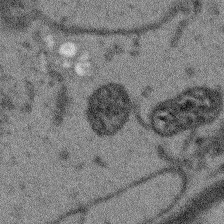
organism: Arabidopsis thaliana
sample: Root tip